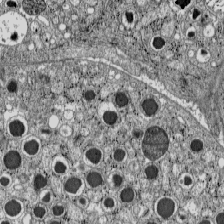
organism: C57BL Mouse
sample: Pancreatic islet